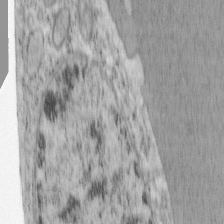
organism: Human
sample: HeLa cells